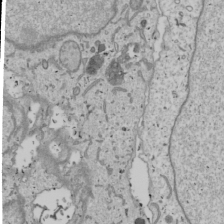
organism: Human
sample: Mitochondria in U2OS cells